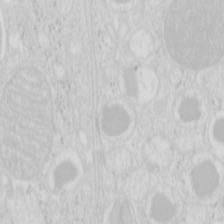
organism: Mouse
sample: Pancreas